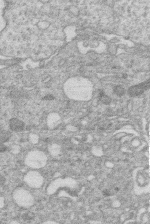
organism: Human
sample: Macrophage cells